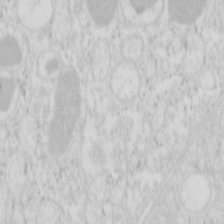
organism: Mouse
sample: Pancreas